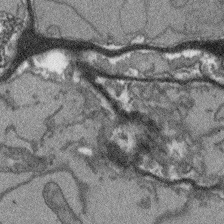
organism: Arabidopsis thaliana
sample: Root tip